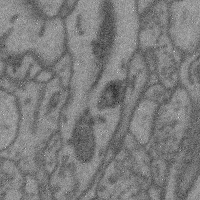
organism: Mouse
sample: Cerebral cortex